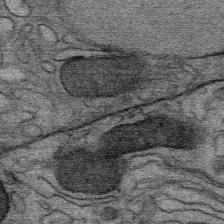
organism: Mouse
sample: Mouse Salivary gland